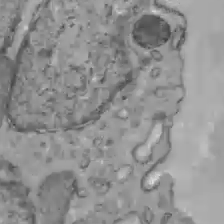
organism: C57BL Mouse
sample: Liver